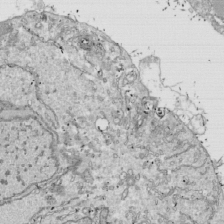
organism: Drosophila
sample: Cell division; meiosis; drosophila spermatocytes